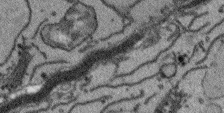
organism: Arabidopsis thaliana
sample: Root tip